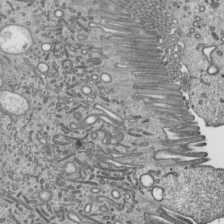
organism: Mouse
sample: Mouse epididymis efferent ductule cilia